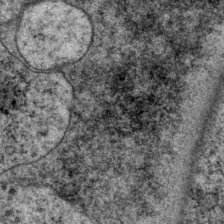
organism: P. pacificus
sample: Pharynx